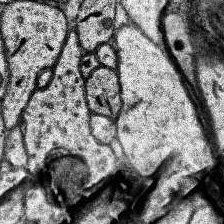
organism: Human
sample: Temporal Lobe